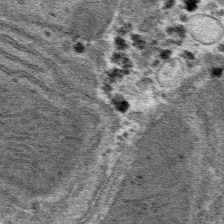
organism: Mouse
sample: Mouse hepatocytes